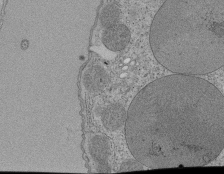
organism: Tetrahymena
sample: Cilia in tetrahymena